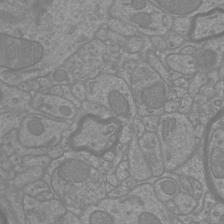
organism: Mouse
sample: Cortical neurons